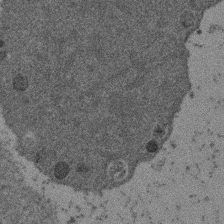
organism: Mouse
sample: Dividing mouse embryo 1 cell stage